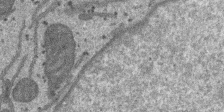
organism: Human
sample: Lung epithelial cells infected with SARS-CoV-2